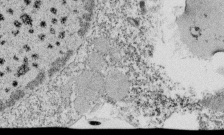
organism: Tetrahymena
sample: Cilia in tetrahymena